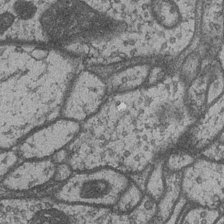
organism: Drosophila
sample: Optic medulla